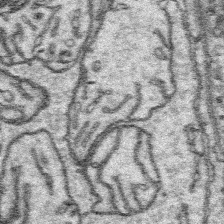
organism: Platynereis dumerilii